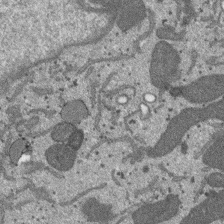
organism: Human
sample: Lung epithelial cells infected with SARS-CoV-2